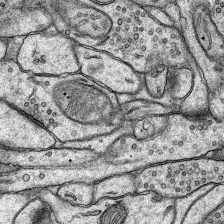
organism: Rat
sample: Hippocampus